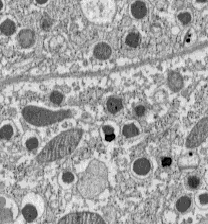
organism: C57BL Mouse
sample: Pancreatic islet